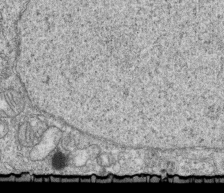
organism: Human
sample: HeLa cell HIV synapse